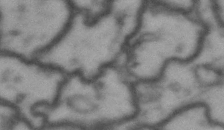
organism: Drosophila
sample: Brain